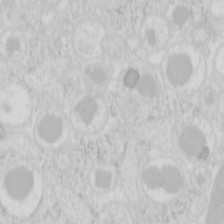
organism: Mouse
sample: Pancreas